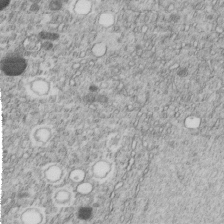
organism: C. elegans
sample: C. elegans embryo early stage